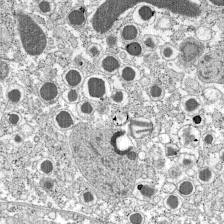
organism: C57BL Mouse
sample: Pancreatic islet